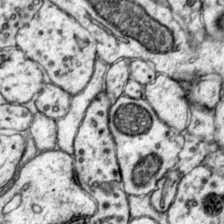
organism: Mouse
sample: Primary visual cortex